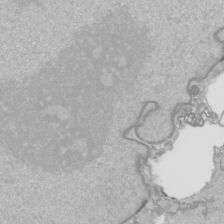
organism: Human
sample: Mitochondria in HCT116 cells